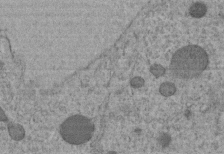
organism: C. elegans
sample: C. elegans embryo early stage